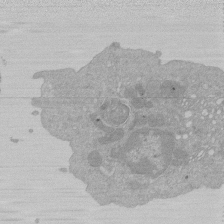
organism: Mouse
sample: Activated Pmel transgenic CD8+ T Cells